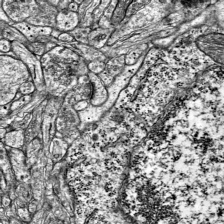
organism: Mouse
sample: Visual Cortex